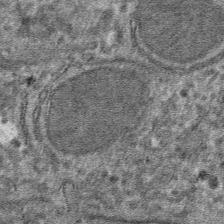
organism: Mouse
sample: Mouse hepatocytes